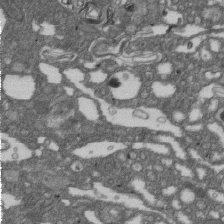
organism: Drosophila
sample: Nephrocyte